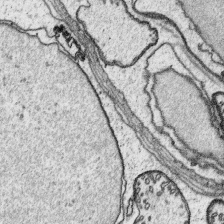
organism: Platynereis dumerilii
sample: Parapodia